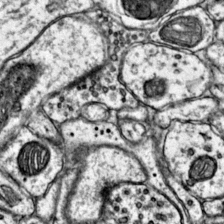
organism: Mouse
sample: Primary visual cortex